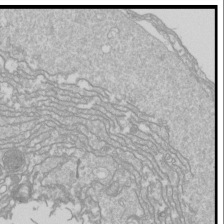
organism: Drosophila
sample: Cell division; meiosis; drosophila spermatocytes